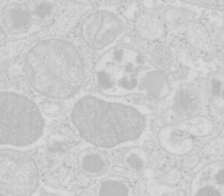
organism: Mouse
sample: Pancreas